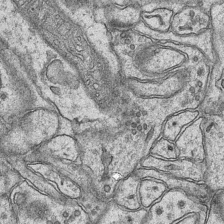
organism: Mouse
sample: CA1 Hippocampus